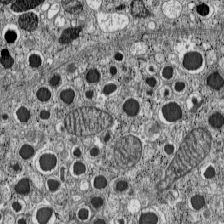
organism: C57BL Mouse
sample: Pancreatic islet